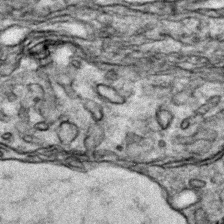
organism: Zebrafish